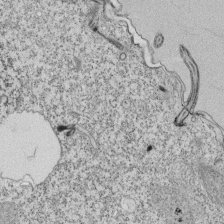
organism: Tetrahymena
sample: Cilia in tetrahymena